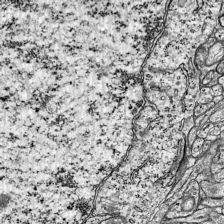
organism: Mouse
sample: Visual Cortex